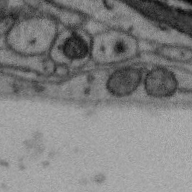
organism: Zebra finch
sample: Brain